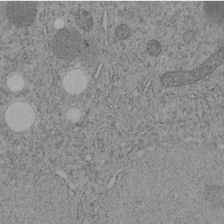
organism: C. elegans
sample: C. elegans embryo early stage